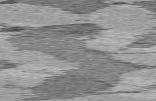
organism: C57BL Mouse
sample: Heart